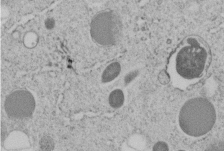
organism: C. elegans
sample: C. elegans embryo early stage